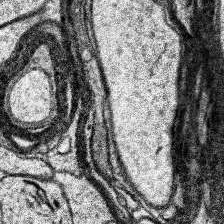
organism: Human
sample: Temporal Lobe